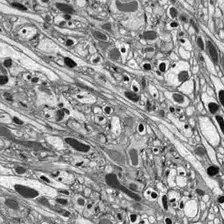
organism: Drosophila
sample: Optic lobe